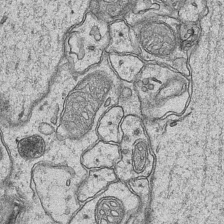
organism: Mouse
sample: CA1 Hippocampus